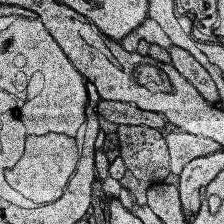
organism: Human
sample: Temporal Lobe